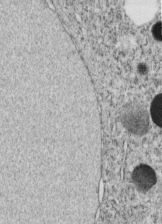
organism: C. elegans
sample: C. elegans embryo early stage